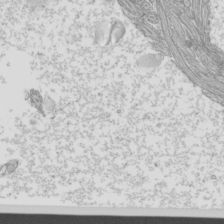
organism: Mouse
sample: Cilia; mouse epididymis